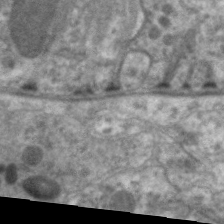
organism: C. elegans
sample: Pharynx